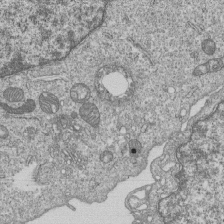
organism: Human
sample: MDA-MB-231 cells